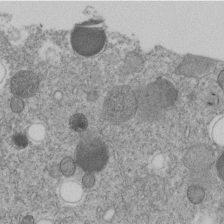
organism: C. elegans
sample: C. elegans embryo early stage